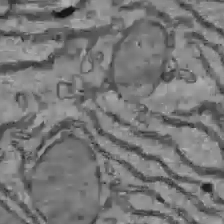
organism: C57BL Mouse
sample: Liver